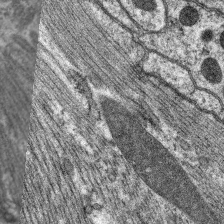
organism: C. elegans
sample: Pharynx